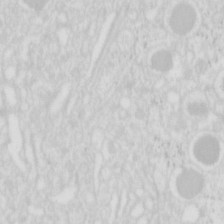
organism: Mouse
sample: Pancreas